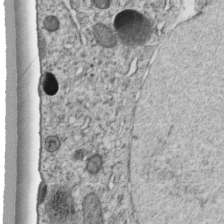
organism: C. elegans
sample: C. elegans embryo early stage